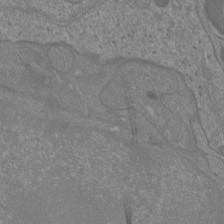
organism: Mouse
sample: Cortical neurons